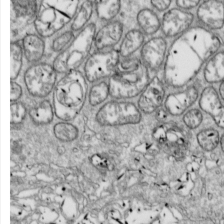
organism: Drosophila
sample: Cell division; meiosis; drosophila spermatocytes